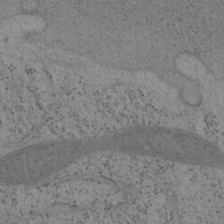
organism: Mouse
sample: OT-I killer T cells with ID8 ovarian cancer cells